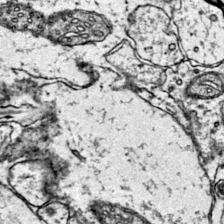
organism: Mouse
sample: Primary visual cortex